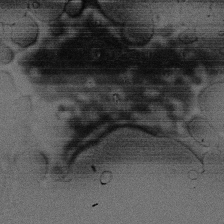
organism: Rat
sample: Salivary granule